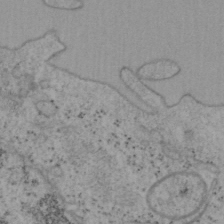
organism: Human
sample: HeLa cells